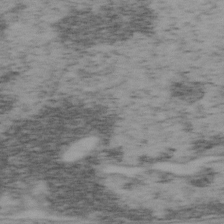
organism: Mouse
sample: OT-I killer T cells with ID8 ovarian cancer cells